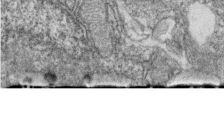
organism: Zebrafish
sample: Cilia; retinal pigment epithelium